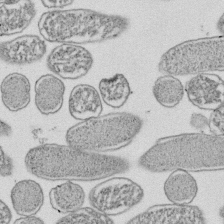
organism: E. coli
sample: Bacterial nucleoid